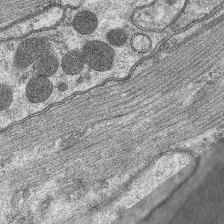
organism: C. elegans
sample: Pharynx